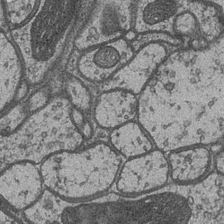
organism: Drosophila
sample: Optic medulla